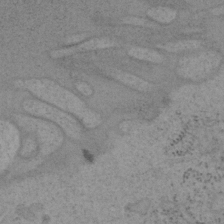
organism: Mouse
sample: OT-I killer T cells with ID8 ovarian cancer cells